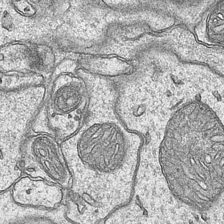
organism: Mouse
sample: CA1 Hippocampus